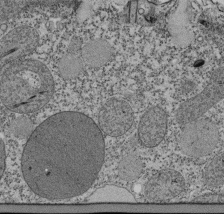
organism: Tetrahymena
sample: Cilia in tetrahymena